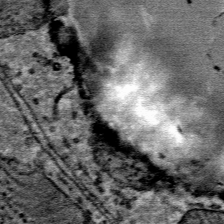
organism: Mouse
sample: Mouse Salivary gland